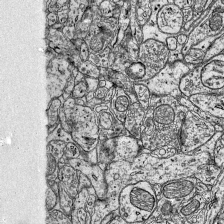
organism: Mouse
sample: Visual Cortex